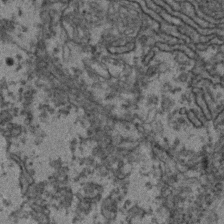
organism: Zebrafish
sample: Zebrafish embryo